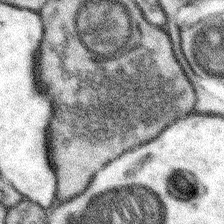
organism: Mouse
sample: Somatosensory cortex neuropil